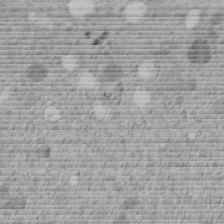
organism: C. elegans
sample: C. elegans embryo early stage